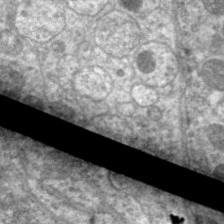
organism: C. elegans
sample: Pharynx